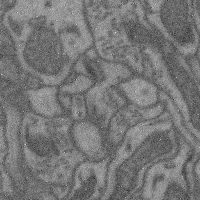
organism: Mouse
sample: Cerebral cortex